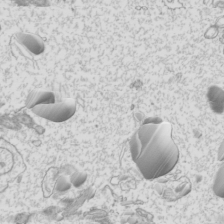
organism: Mouse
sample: Cilia; mouse epididymis